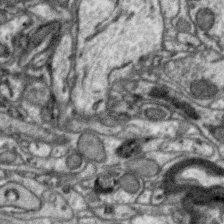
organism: Zebra finch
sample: Brain